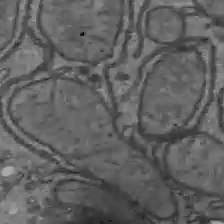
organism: C57BL Mouse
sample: Liver